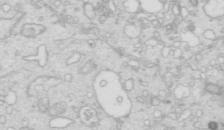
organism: Mouse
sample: Multiciliated cells